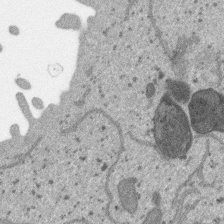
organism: Human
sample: Lung epithelial cells infected with SARS-CoV-2